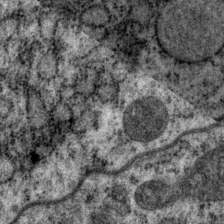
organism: P. pacificus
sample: Pharynx